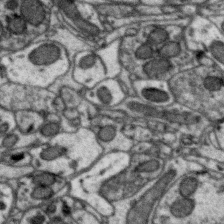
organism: Zebra finch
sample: Brain